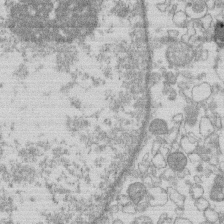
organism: Human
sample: Macrophage cells